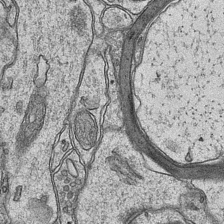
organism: Mouse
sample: CA1 Hippocampus